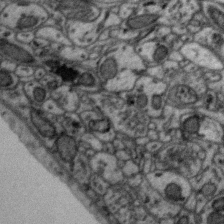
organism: Zebra finch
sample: Brain